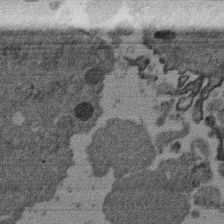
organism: Mouse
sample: Dividing mouse embryo 1 cell stage